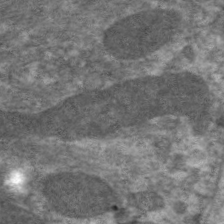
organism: C. elegans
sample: Pharynx